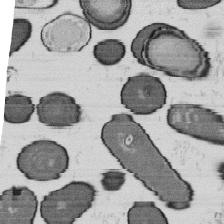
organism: B. subtilis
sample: Bacterial spore